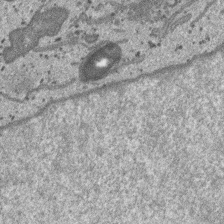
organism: Human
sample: Lung epithelial cells infected with SARS-CoV-2